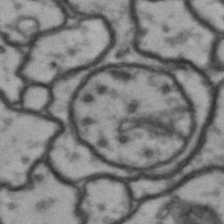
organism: Drosophila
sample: Brain